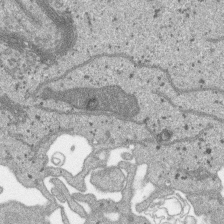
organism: Human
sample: Lung epithelial cells infected with SARS-CoV-2